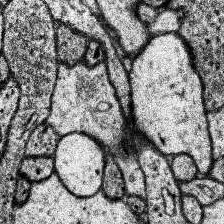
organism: Human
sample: Temporal Lobe